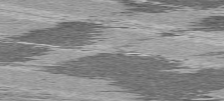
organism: C57BL Mouse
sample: Heart